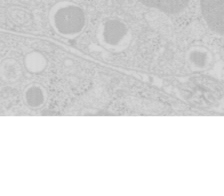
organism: Mouse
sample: Pancreas